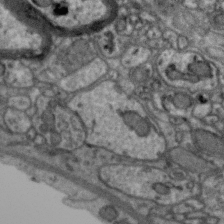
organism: Zebra finch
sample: Brain